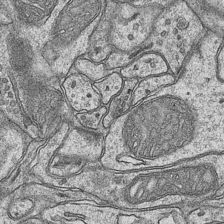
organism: Mouse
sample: CA1 Hippocampus